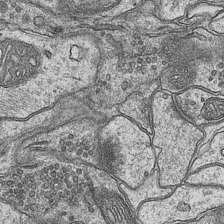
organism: Mouse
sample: CA1 Hippocampus